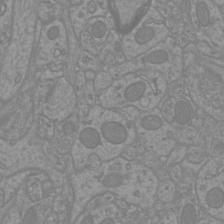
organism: Mouse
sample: Cortical neurons